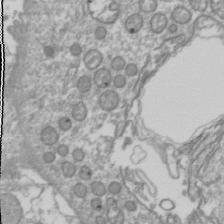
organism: Drosophila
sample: Cell division; meiosis; drosophila spermatocytes